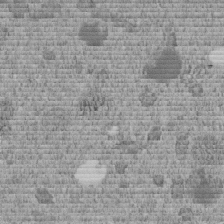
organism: C. elegans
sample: C. elegans embryo early stage